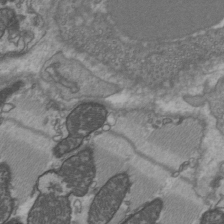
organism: C57BL Mouse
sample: Heart